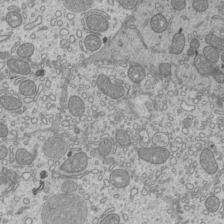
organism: Mouse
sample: Cilia; mouse epididymis